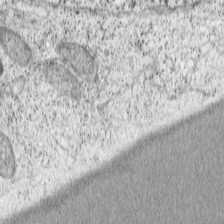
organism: African green monkey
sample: COS-7 cells